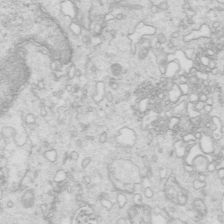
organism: Mouse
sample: Multiciliated cells